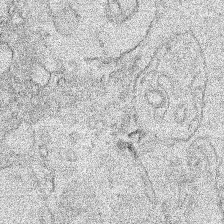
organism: Human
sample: Mitochondria in HCT116 cells